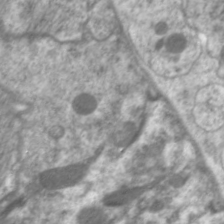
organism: C. elegans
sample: Pharynx